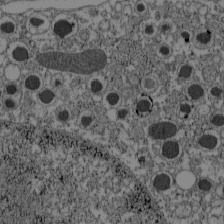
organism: C57BL Mouse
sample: Pancreatic islet